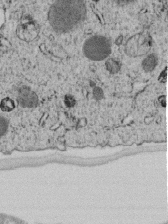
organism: C. elegans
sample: C. elegans embryo early stage